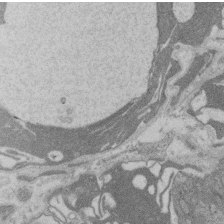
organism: Rat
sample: Salivary granule